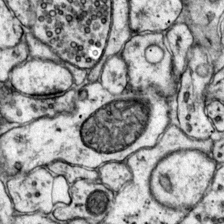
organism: Mouse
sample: Primary visual cortex